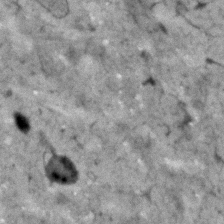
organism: Human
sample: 1205lu cells